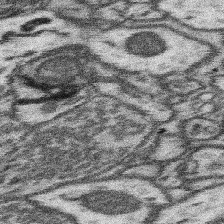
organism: Mouse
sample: Somatosensory cortex neuropil